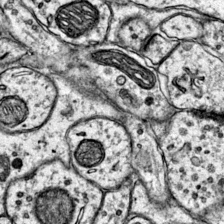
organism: Mouse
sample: Primary visual cortex